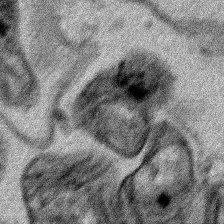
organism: Human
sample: Mitochondria in HCT116 cells